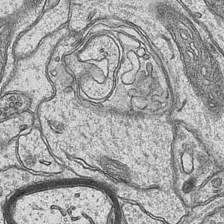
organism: Mouse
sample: CA1 Hippocampus